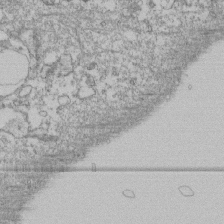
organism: Human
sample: Fibroblast cells